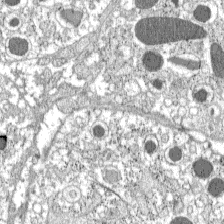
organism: C57BL Mouse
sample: Pancreatic islet